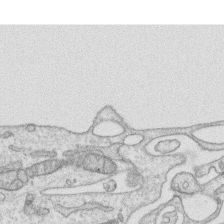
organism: Human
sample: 1205lu cells